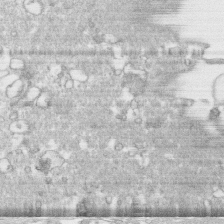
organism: Human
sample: CRL-1474